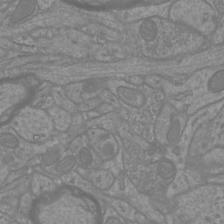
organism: Mouse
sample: Cortical neurons